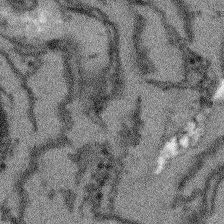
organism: Arabidopsis thaliana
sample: Root tip